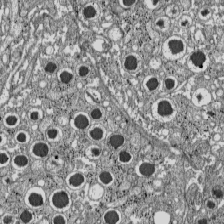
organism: C57BL Mouse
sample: Pancreatic islet